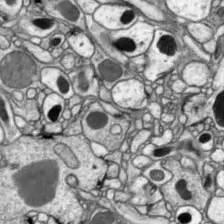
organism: Drosophila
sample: Optic lobe